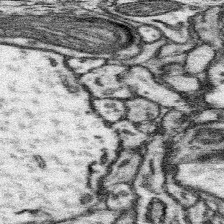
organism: Mouse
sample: Somatosensory cortex neuropil